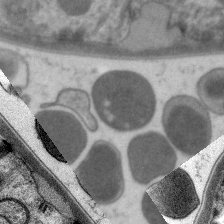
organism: C. elegans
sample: Pharynx